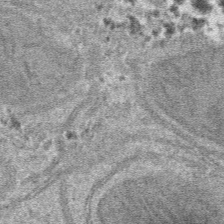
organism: Mouse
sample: Mouse hepatocytes